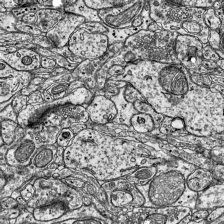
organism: Mouse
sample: Visual Cortex